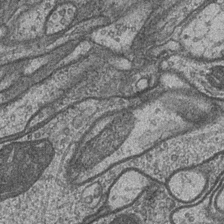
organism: Drosophila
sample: Optic medulla